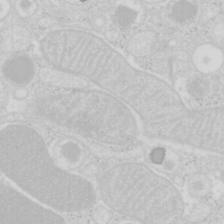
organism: Mouse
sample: Pancreas